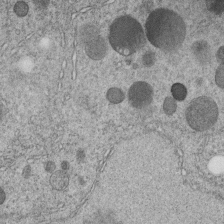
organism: C. elegans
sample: C. elegans embryo early stage